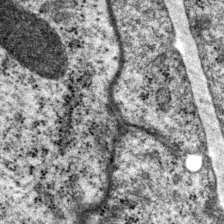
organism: P. pacificus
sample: Pharynx